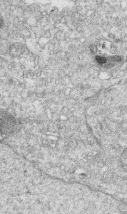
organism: Human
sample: HeLa cell HIV synapse